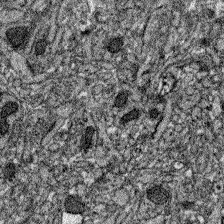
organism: Zebrafish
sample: Larval olfactory bulb